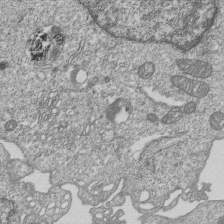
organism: Human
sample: MDA-MB-231 cells